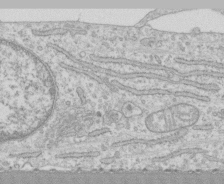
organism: Human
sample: CRL-1474